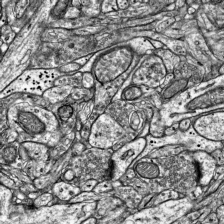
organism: Mouse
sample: Visual Cortex